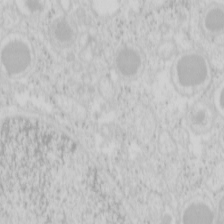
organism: Mouse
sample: Pancreas